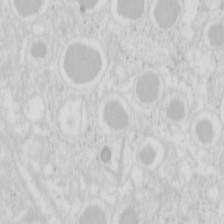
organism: Mouse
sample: Pancreas